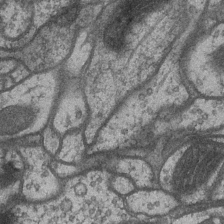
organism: Drosophila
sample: Optic medulla